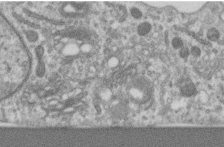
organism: Human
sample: Centriole in RPE cells